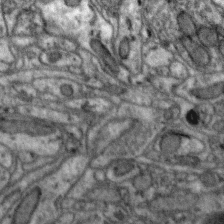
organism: Zebra finch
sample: Brain